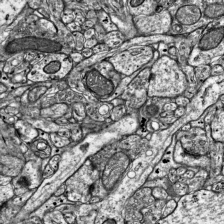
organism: Mouse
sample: Visual Cortex